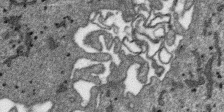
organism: Human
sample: Lung epithelial cells infected with SARS-CoV-2